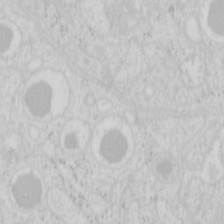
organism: Mouse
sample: Pancreas